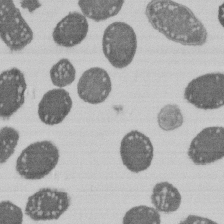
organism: E. coli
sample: Bacterial nucleoid